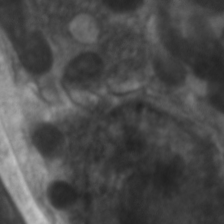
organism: C. elegans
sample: Pharynx